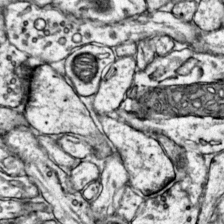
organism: Mouse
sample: Primary visual cortex